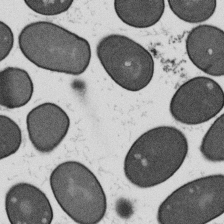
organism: B. subtilis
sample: Bacterial spore